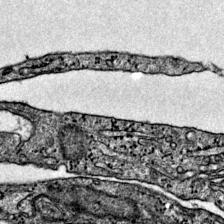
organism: Mouse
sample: Primary visual cortex